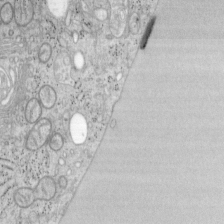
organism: Mouse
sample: OT-I killer T cells with ID8 ovarian cancer cells